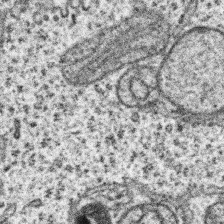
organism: Human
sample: HeLa cells